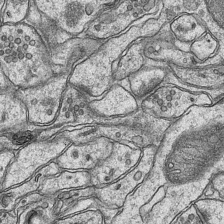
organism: Mouse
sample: CA1 Hippocampus